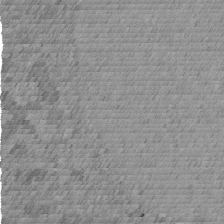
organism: C. elegans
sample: C. elegans embryo early stage